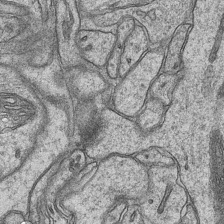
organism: Mouse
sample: CA1 Hippocampus